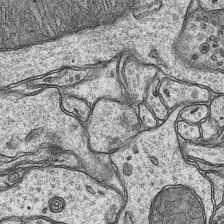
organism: Mouse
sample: CA1 Hippocampus